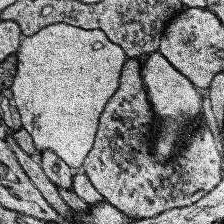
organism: Human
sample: Temporal Lobe